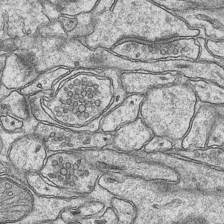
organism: Mouse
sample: CA1 Hippocampus